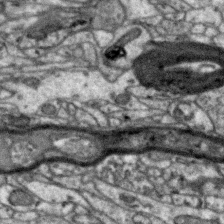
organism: Zebra finch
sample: Brain